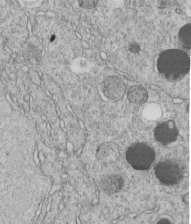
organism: C. elegans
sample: C. elegans embryo early stage